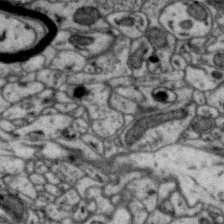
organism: Zebra finch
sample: Brain